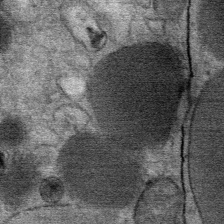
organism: Mouse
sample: Mouse Salivary gland